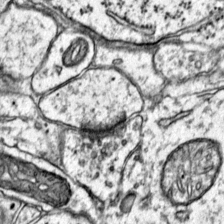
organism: Mouse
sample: Primary visual cortex